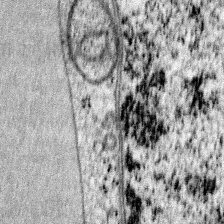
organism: Human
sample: HeLa cells